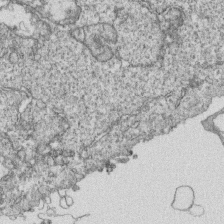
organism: Human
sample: HeLa cell HIV synapse